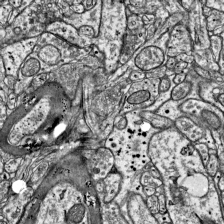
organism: Mouse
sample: Visual Cortex